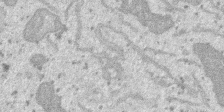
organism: Human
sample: Lung epithelial cells infected with SARS-CoV-2